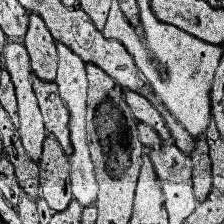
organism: Human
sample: Temporal Lobe